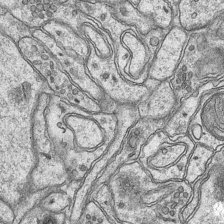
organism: Mouse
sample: CA1 Hippocampus